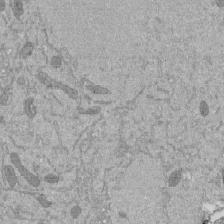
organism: Mouse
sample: ED-1 cell nuclei; centrioles